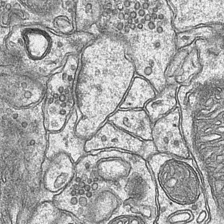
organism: Mouse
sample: CA1 Hippocampus